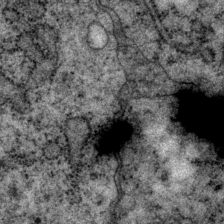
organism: P. pacificus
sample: Pharynx